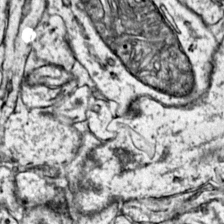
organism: Mouse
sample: Primary visual cortex